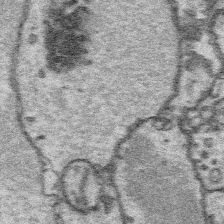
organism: Platynereis dumerilii